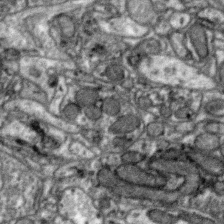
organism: Zebra finch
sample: Brain